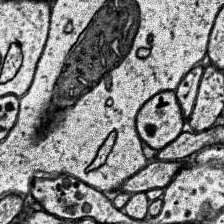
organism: Human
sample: Temporal Lobe